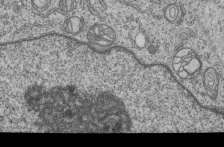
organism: Human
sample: MDA-MB-231 cells